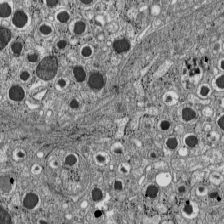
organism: C57BL Mouse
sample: Pancreatic islet